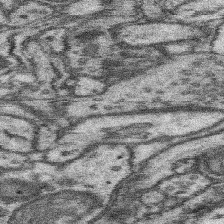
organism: Mouse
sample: Somatosensory cortex neuropil